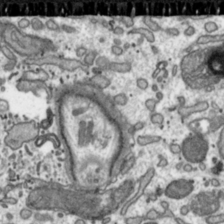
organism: Toxoplasma gondii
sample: Parasites in a vacuole inside a host cell